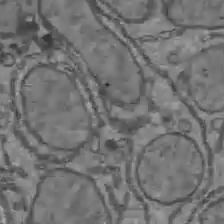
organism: C57BL Mouse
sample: Liver